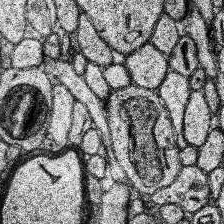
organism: Human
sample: Temporal Lobe